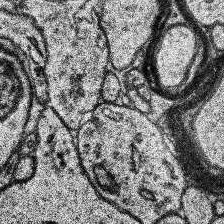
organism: Human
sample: Temporal Lobe